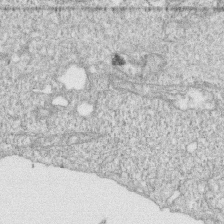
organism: Human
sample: HeLa cell HIV synapse